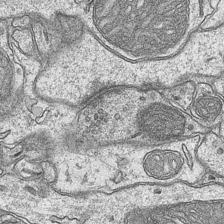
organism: Mouse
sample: CA1 Hippocampus